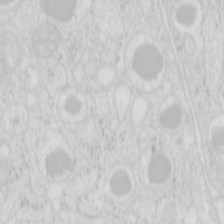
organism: Mouse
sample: Pancreas